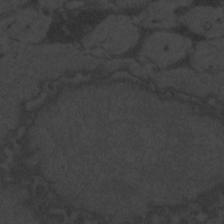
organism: Zebrafish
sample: Macrophage infected with Toxoplasma gondii